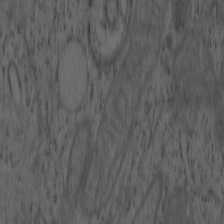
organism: Human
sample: HeLa cells